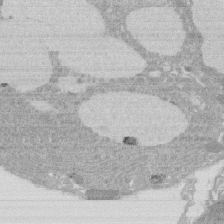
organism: Rat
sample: Salivary granule